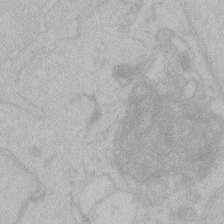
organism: Zebrafish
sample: Macrophage infected with Toxoplasma gondii